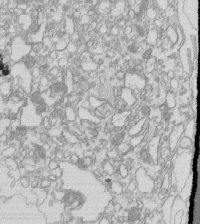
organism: Mouse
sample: Macrophages